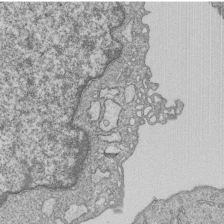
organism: Human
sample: MDA-MB-231 cells